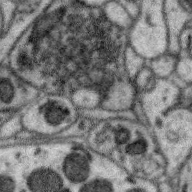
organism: Zebra finch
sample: Brain